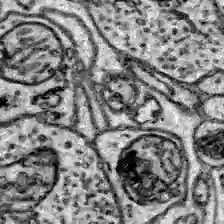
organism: Zebrafish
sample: Brain